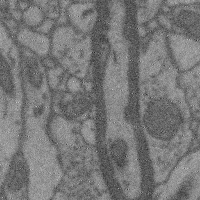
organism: Mouse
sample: Cerebral cortex